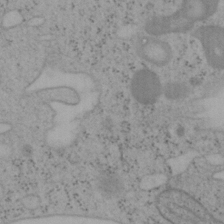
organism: Mouse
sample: OT-I killer T cells with ID8 ovarian cancer cells